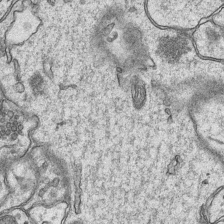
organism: Mouse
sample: CA1 Hippocampus